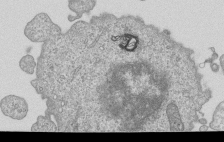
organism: Human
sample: MDA-MB-231 cells